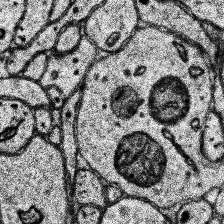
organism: Human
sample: Temporal Lobe